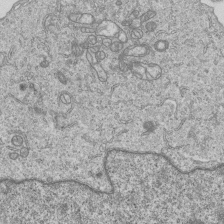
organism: Human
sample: MDA-MB-231 cells